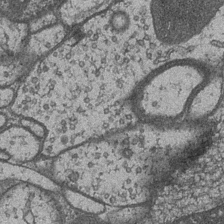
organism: Drosophila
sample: Optic medulla